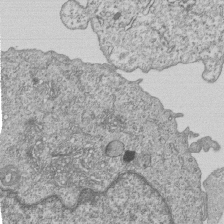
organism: Human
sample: MDA-MB-231 cells